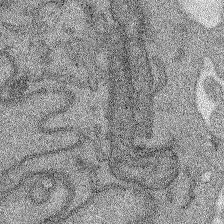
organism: Human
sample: HeLa cells